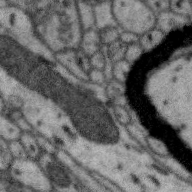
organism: Zebra finch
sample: Brain